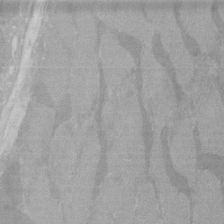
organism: C57BL Mouse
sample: Tibialis anterior muscle cell